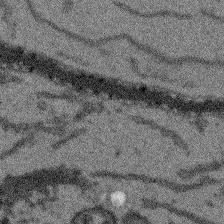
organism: Arabidopsis thaliana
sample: Root tip